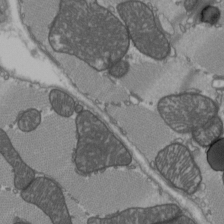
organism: C57BL Mouse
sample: Heart